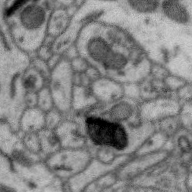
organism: Zebra finch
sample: Brain